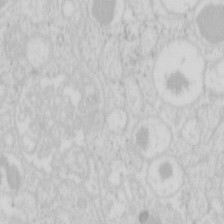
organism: Mouse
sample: Pancreas